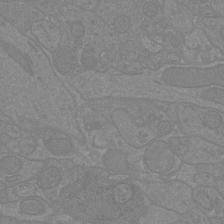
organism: Mouse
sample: Cortical neurons